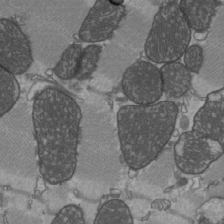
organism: C57BL Mouse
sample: Heart